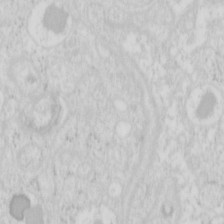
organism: Mouse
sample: Pancreas